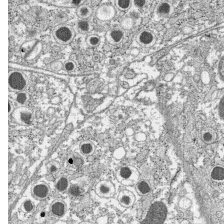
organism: C57BL Mouse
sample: Pancreatic islet